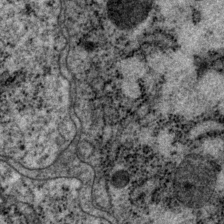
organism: P. pacificus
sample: Pharynx